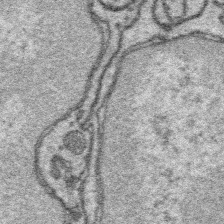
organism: Platynereis dumerilii